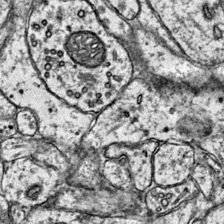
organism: Mouse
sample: Primary visual cortex